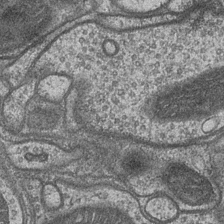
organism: Drosophila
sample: Optic medulla